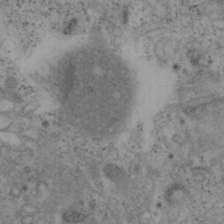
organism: Mouse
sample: OT-I killer T cells with ID8 ovarian cancer cells